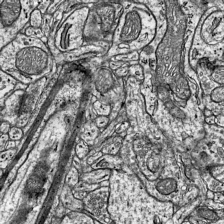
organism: Mouse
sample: Visual Cortex